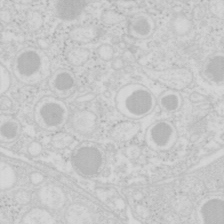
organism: Mouse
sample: Pancreas